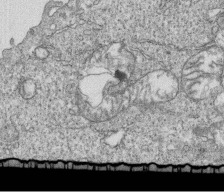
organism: Human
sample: HeLa cell HIV synapse